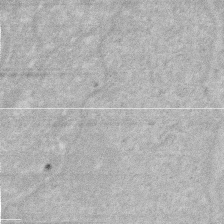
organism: Human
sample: HIV infected U937 cells